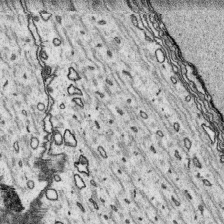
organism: Platynereis dumerilii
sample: Parapodia